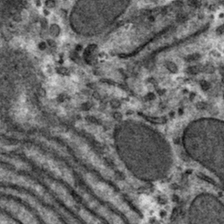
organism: Mouse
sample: Mouse hepatocytes